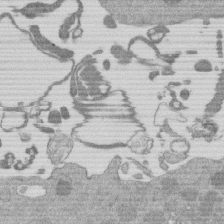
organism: Mouse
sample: Dividing mouse embryo 1 cell stage